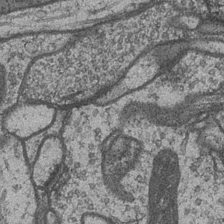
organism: Drosophila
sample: Optic medulla